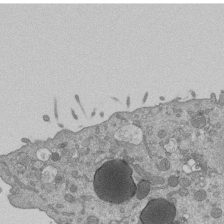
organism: Mouse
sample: ED-1 cell nuclei; centrioles